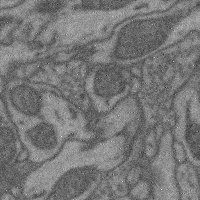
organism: Mouse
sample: Cerebral cortex